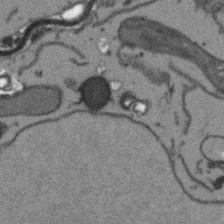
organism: Arabidopsis thaliana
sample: Root tip